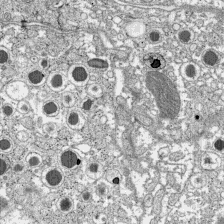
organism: C57BL Mouse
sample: Pancreatic islet